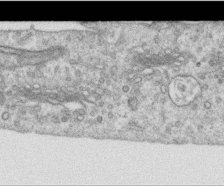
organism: Human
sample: Centriole in RPE cells